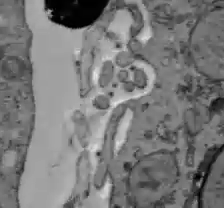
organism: C57BL Mouse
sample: Liver